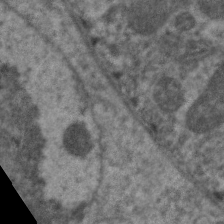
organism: C. elegans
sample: Pharynx